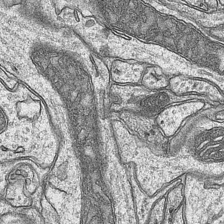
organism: Mouse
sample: CA1 Hippocampus